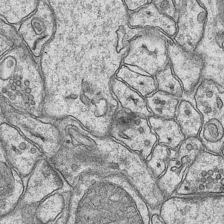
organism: Mouse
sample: CA1 Hippocampus